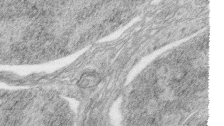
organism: Zebrafish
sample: synaptic ribbons in rod cells and cone cells